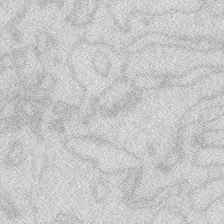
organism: Zebrafish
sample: Macrophage